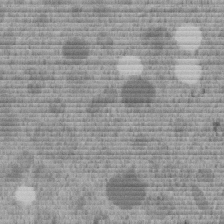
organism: C. elegans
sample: C. elegans embryo early stage